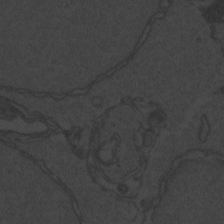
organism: Zebrafish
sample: Macrophage infected with Toxoplasma gondii